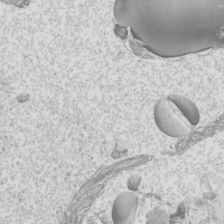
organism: Mouse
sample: Cilia; mouse epididymis